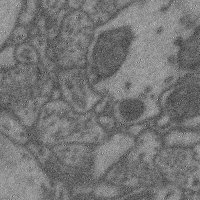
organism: Mouse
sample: Cerebral cortex